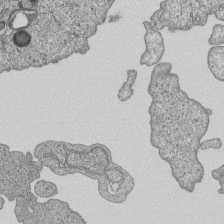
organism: Human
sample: MDA-MB-231 cells